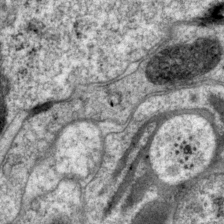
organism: P. pacificus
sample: Pharynx